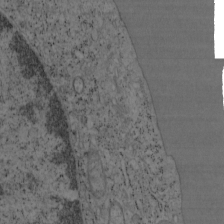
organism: Mouse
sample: OT-I killer T cells with ID8 ovarian cancer cells